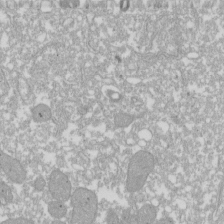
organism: Xenopus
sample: Cilia; centrioles in frog embryo cells